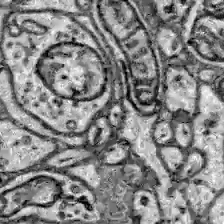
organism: Zebrafish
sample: Brain